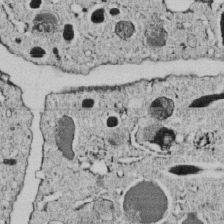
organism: C. elegans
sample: C. elegans embryo early stage